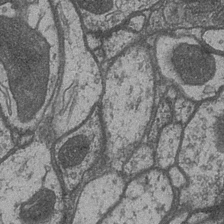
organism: Drosophila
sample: Optic medulla